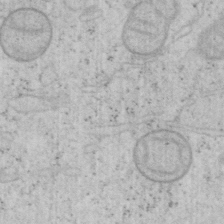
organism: Human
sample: HeLa cells